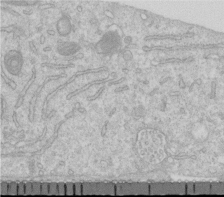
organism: Human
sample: Centriole in RPE cells